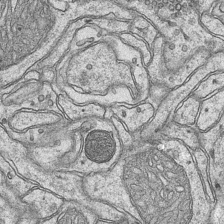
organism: Mouse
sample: CA1 Hippocampus